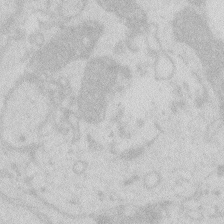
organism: Zebrafish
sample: Macrophage